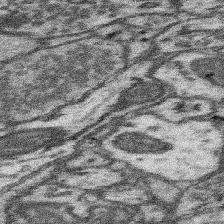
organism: Mouse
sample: Somatosensory cortex neuropil